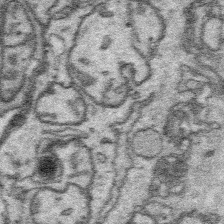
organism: Platynereis dumerilii